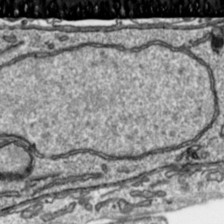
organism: Toxoplasma gondii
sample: Parasites in a vacuole inside a host cell